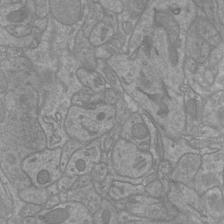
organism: Mouse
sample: Cortical neurons